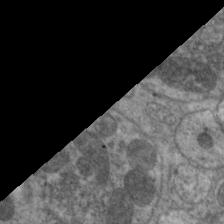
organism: C. elegans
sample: Pharynx